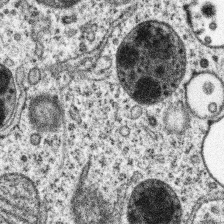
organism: Human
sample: HeLa cells